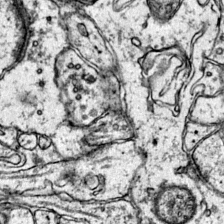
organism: Mouse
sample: Primary visual cortex